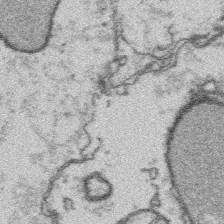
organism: Platynereis dumerilii